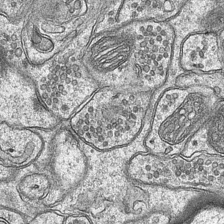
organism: Mouse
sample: CA1 Hippocampus